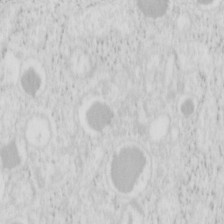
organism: Mouse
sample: Pancreas